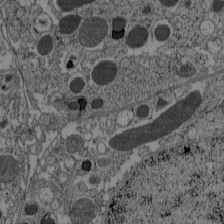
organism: C57BL Mouse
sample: Pancreatic islet